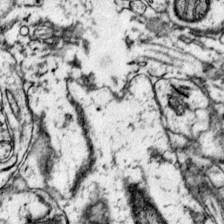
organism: Mouse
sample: Primary visual cortex